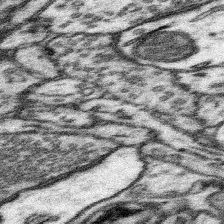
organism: Mouse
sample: Somatosensory cortex neuropil